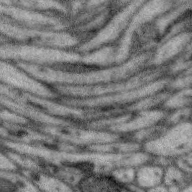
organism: Zebra finch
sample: Brain